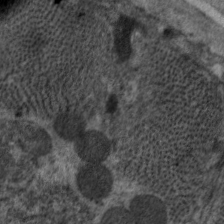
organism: C. elegans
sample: Pharynx